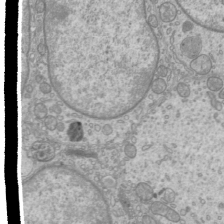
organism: Mouse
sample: Cilia; mouse epididymis